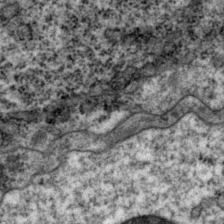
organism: P. pacificus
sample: Pharynx